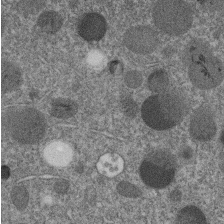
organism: C. elegans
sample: C. elegans embryo early stage